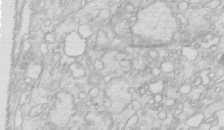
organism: Mouse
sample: Multiciliated cells